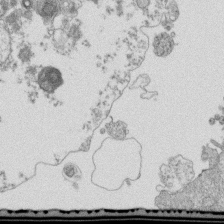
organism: Human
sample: HeLa cell HIV synapse